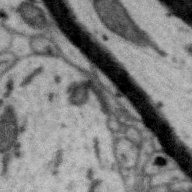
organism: Zebra finch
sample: Brain